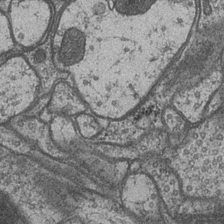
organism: Drosophila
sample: Optic medulla